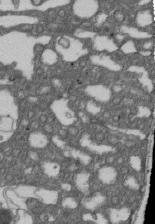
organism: Drosophila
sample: Nephrocyte